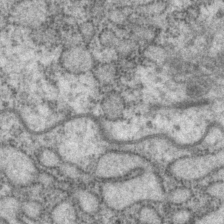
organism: P. pacificus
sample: Pharynx